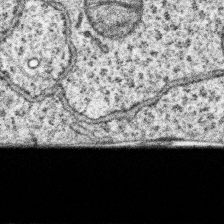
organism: Human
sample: HeLa cells